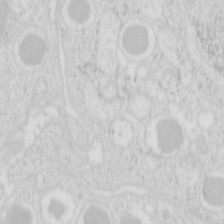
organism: Mouse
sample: Pancreas